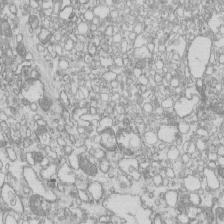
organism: Mouse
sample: Macrophages